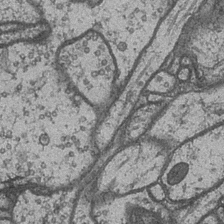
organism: Drosophila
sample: Optic medulla